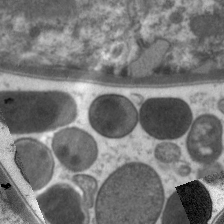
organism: C. elegans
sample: Pharynx